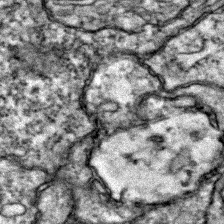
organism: Zebrafish